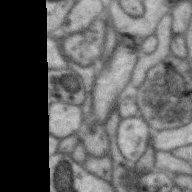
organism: Zebra finch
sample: Brain